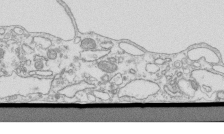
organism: Mouse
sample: Macrophages